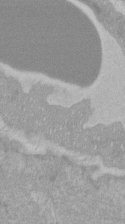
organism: C57BL Mouse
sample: Tibialis anterior muscle cell